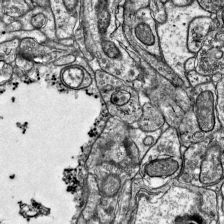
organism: Mouse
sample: Visual Cortex